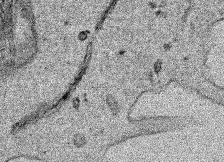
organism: Human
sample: Mitochondria in HCT116 cells